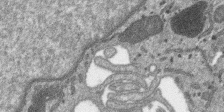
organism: Human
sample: Lung epithelial cells infected with SARS-CoV-2